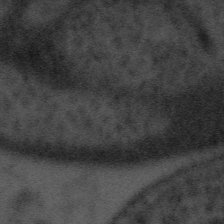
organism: Tuwongella immobilis